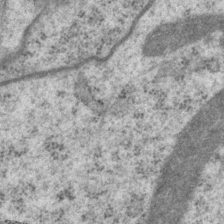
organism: P. pacificus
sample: Pharynx